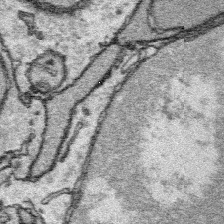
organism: Platynereis dumerilii